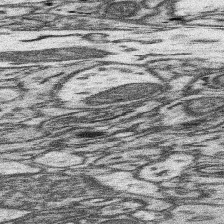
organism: Mouse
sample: Somatosensory cortex neuropil